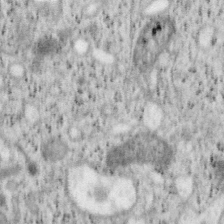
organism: Mouse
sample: OT-I killer T cells with ID8 ovarian cancer cells